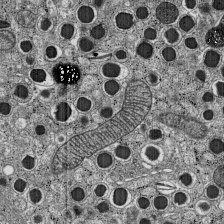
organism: C57BL Mouse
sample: Pancreatic islet